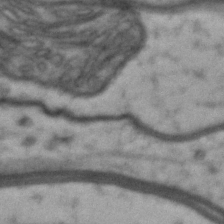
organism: Drosophila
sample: Brain